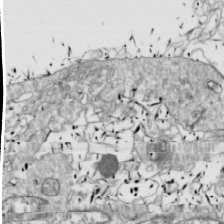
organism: Drosophila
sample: Cell division; meiosis; drosophila spermatocytes